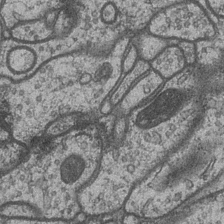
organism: Drosophila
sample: Optic medulla